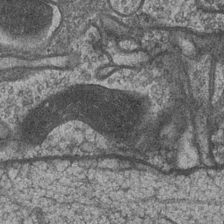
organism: Drosophila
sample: Optic medulla